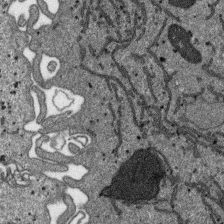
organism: Human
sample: Lung epithelial cells infected with SARS-CoV-2